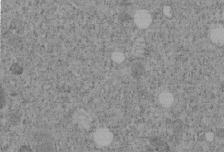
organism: C. elegans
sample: C. elegans embryo early stage